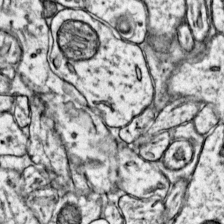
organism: Mouse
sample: Primary visual cortex